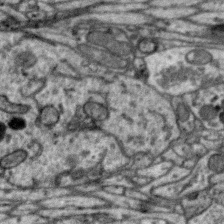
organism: Zebra finch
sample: Brain